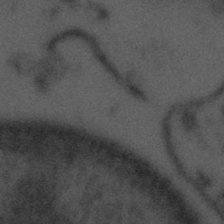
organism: Tuwongella immobilis